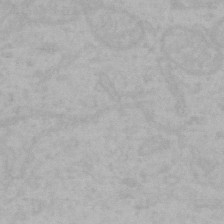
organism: Mouse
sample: Choroid plexus